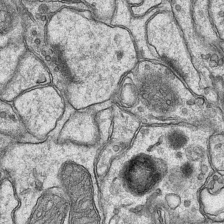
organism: Mouse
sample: CA1 Hippocampus